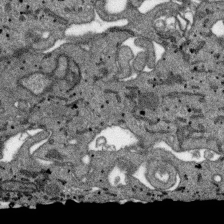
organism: Human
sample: Lung epithelial cells, uninfected (mock) control